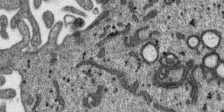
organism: Human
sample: Lung epithelial cells infected with SARS-CoV-2